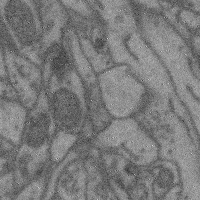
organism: Mouse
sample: Cerebral cortex